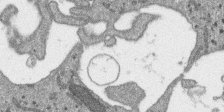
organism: Human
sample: Lung epithelial cells infected with SARS-CoV-2